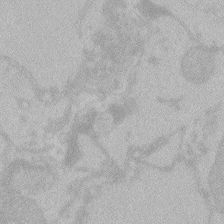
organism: Zebrafish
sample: Macrophage infected with Toxoplasma gondii